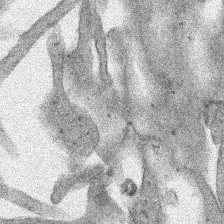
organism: Human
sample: Mitochondria in HCT116 cells